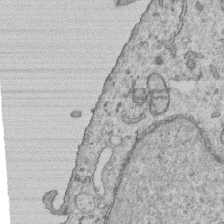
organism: Human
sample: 1205lu cells